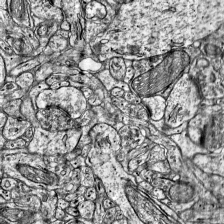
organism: Mouse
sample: Visual Cortex